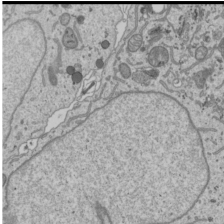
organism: Human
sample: Mitochondria in U2OS cells